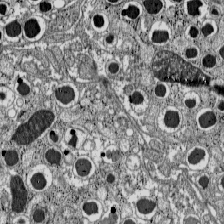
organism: C57BL Mouse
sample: Pancreatic islet